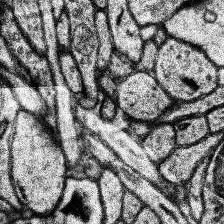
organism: Human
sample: Temporal Lobe